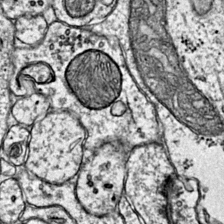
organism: Mouse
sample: Primary visual cortex